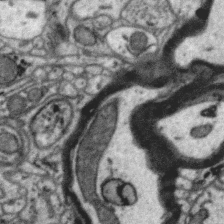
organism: Zebra finch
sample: Brain